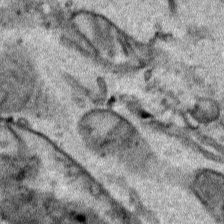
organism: Human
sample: Mitochondria in HCT116 cells